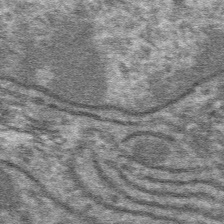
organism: Mouse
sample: Mouse hepatocytes